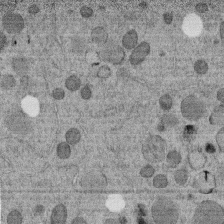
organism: C. elegans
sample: C. elegans embryo early stage